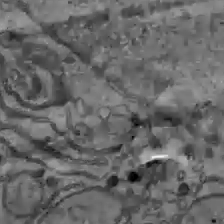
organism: C57BL Mouse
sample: Liver